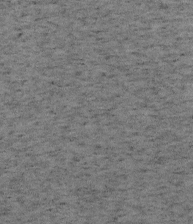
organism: Mouse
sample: OT-I killer T cells with ID8 ovarian cancer cells